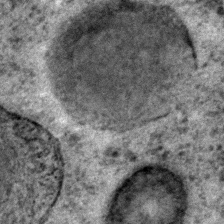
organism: C. elegans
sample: C. elegans embryo